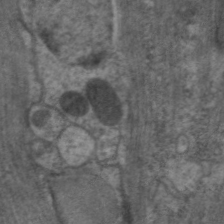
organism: C. elegans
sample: Pharynx